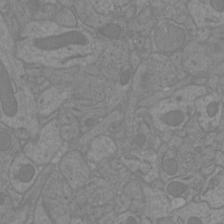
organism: Mouse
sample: Cortical neurons